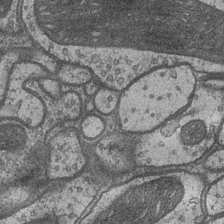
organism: Drosophila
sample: Optic medulla